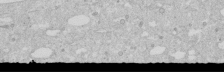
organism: Human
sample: Caco-2 cells